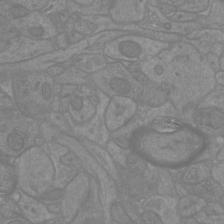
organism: Mouse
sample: Cortical neurons